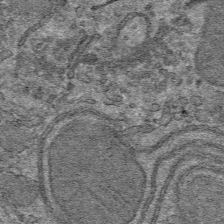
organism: Mouse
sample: Mouse hepatocytes